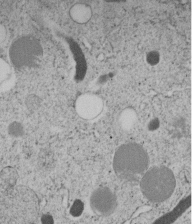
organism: C. elegans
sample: C. elegans embryo early stage